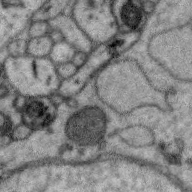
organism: Zebra finch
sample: Brain